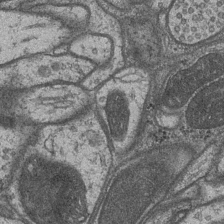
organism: Drosophila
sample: Optic medulla